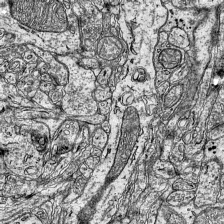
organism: Mouse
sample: Visual Cortex